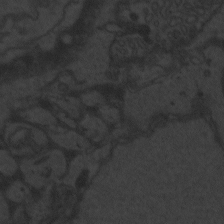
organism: Zebrafish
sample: Macrophage infected with Toxoplasma gondii